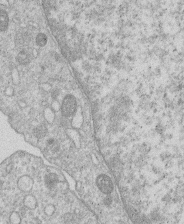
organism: Human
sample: Macrophage cells